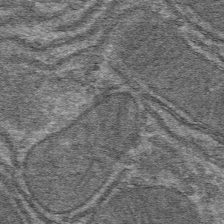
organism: Mouse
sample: Mouse hepatocytes